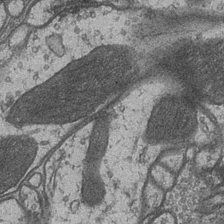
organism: Drosophila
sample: Optic medulla